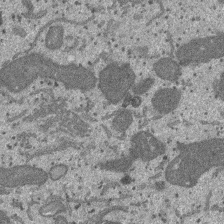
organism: Human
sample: Lung epithelial cells infected with SARS-CoV-2